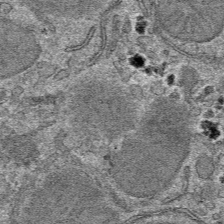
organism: Mouse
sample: Mouse hepatocytes